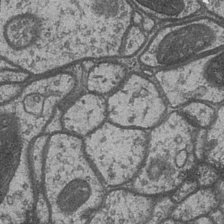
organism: Drosophila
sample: Optic medulla